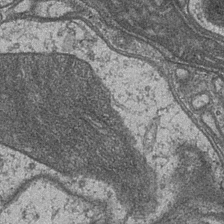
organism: Drosophila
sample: Optic medulla